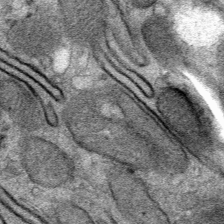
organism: Mouse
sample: Mouse Salivary gland